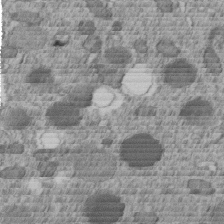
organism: C. elegans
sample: C. elegans embryo early stage